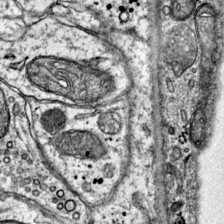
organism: Mouse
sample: Primary visual cortex